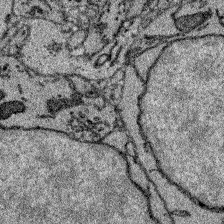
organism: Zebrafish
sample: Larval olfactory bulb